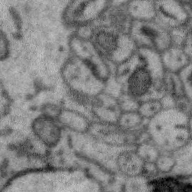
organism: Zebra finch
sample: Brain